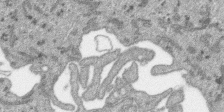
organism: Human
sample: Lung epithelial cells infected with SARS-CoV-2